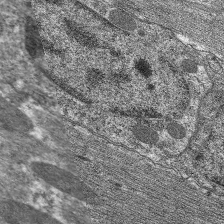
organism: C. elegans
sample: Pharynx